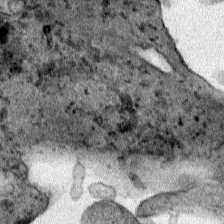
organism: Human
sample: Mitochondria in HCT116 cells